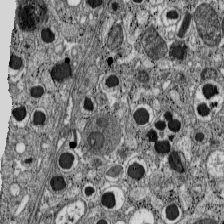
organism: C57BL Mouse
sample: Pancreatic islet